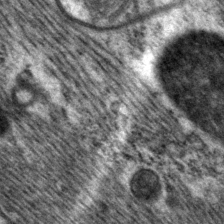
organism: P. pacificus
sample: Pharynx